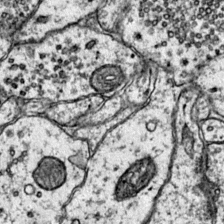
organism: Mouse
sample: Primary visual cortex